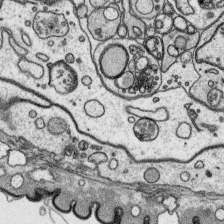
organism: Platynereis dumerilii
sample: Parapodia